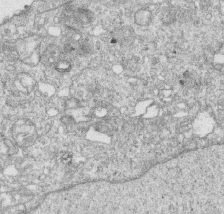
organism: Human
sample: HeLa cell HIV synapse